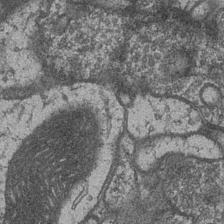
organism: Drosophila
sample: Optic medulla